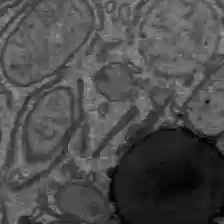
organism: C57BL Mouse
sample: Liver